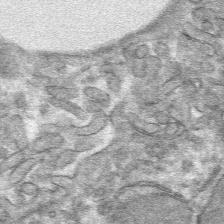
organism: Mouse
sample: Mouse hepatocytes